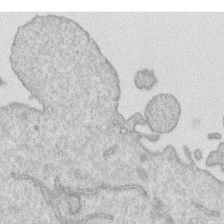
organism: Human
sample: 1205lu cells